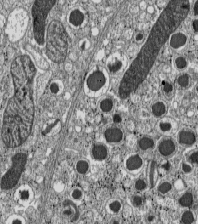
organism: C57BL Mouse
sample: Pancreatic islet